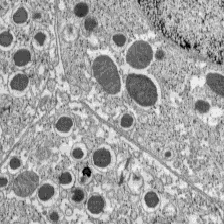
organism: C57BL Mouse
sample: Pancreatic islet